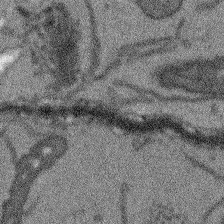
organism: Arabidopsis thaliana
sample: Root tip